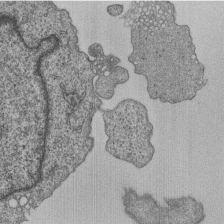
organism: Human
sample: MDA-MB-231 cells